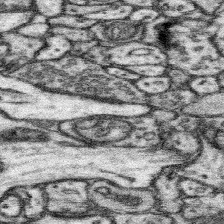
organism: Mouse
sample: Somatosensory cortex neuropil